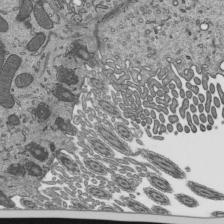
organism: Mouse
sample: Mouse epididymis efferent ductule cilia